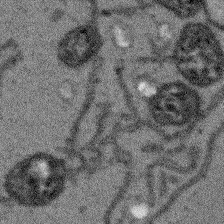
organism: Arabidopsis thaliana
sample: Root tip